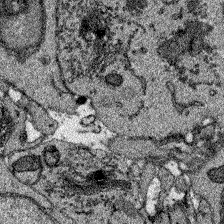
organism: Zebrafish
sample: Larval olfactory bulb